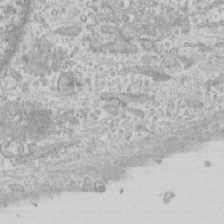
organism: Human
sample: CRL-1474